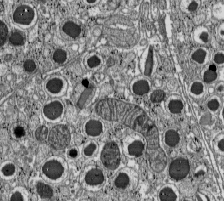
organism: C57BL Mouse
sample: Pancreatic islet